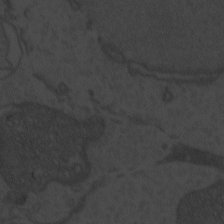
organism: Zebrafish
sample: Macrophage infected with Toxoplasma gondii